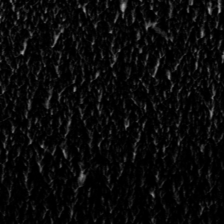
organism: Toxoplasma gondii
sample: Parasites in a vacuole inside a host cell